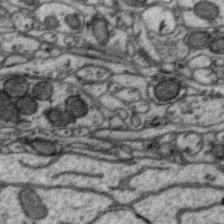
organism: Zebra finch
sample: Brain